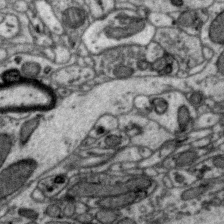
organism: Zebra finch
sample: Brain